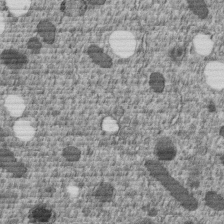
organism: C. elegans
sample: C. elegans embryo early stage